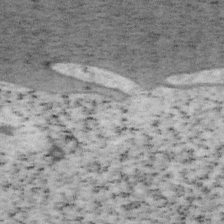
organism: Mouse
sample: OT-I killer T cells with ID8 ovarian cancer cells